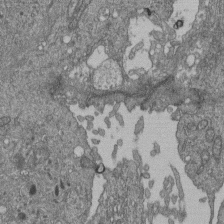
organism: Human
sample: Retinal organoid Rod and Cone cells